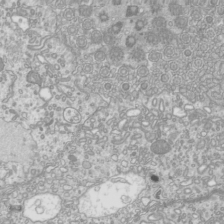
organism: Mouse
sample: Cilia; mouse epididymis